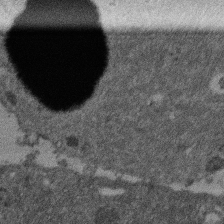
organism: Mouse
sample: Dividing mouse embryo 1 cell stage